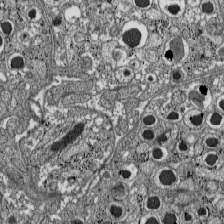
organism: C57BL Mouse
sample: Pancreatic islet